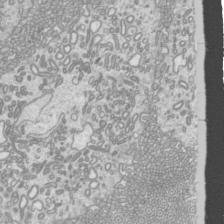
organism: Mouse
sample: Cilia; mouse epididymis